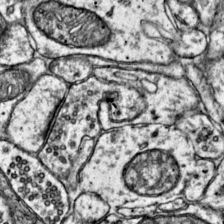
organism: Mouse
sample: Primary visual cortex